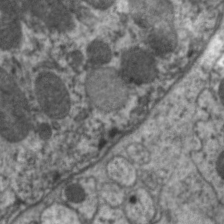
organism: C. elegans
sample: Pharynx